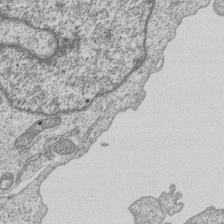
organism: Human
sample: MDA-MB-231 cells